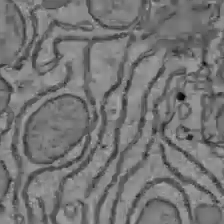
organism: C57BL Mouse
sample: Liver